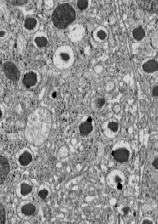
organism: C57BL Mouse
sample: Pancreatic islet